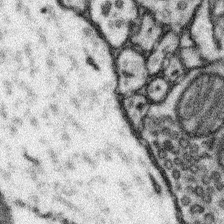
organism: Mouse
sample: Somatosensory cortex neuropil